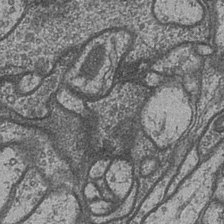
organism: Drosophila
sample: Optic medulla